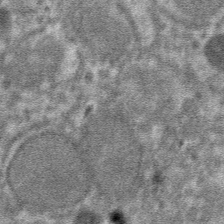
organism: Mouse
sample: Mouse hepatocytes